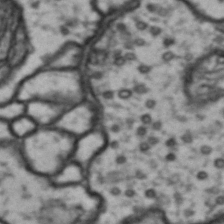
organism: Drosophila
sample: Brain